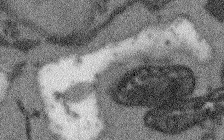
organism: Arabidopsis thaliana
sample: Root tip